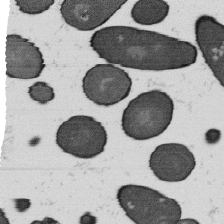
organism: B. subtilis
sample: Bacterial spore